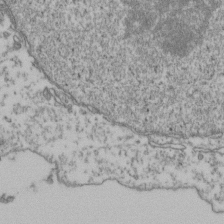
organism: Human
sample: Activated Jurkat CD4+ T cells